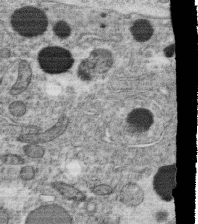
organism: C. elegans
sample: C. elegans oocyte; sperm cells